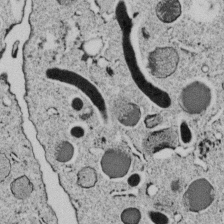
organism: C. elegans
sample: C. elegans embryo early stage